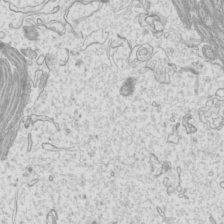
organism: Mouse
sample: Cilia; mouse epididymis